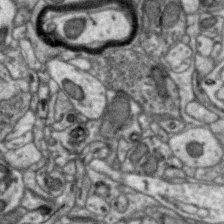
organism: Zebra finch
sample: Brain